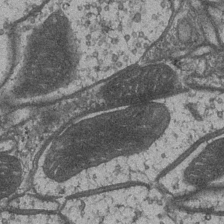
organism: Drosophila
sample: Optic medulla